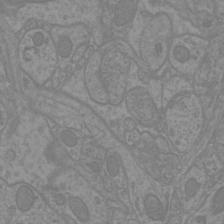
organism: Mouse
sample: Cortical neurons